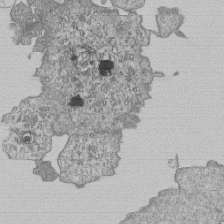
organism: Human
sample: MDA-MB-231 cells